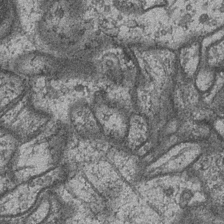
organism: Drosophila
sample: Optic medulla